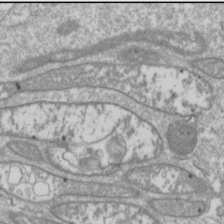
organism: Drosophila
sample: Cell division; meiosis; drosophila spermatocytes